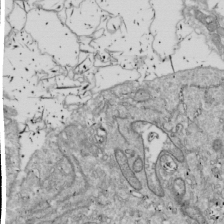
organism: Drosophila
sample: Cell division; meiosis; drosophila spermatocytes